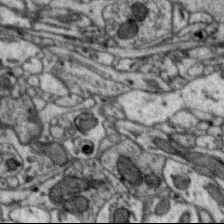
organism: Zebra finch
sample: Brain